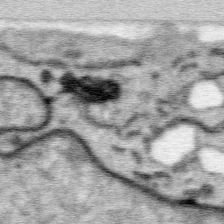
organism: Human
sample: HeLa cells